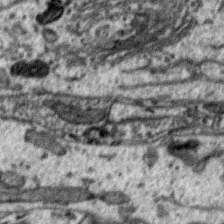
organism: Zebra finch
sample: Brain